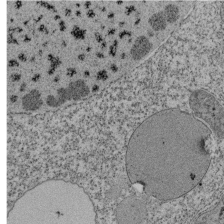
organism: Tetrahymena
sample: Cilia in tetrahymena